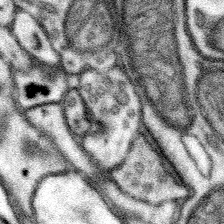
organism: Mouse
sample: Somatosensory cortex neuropil